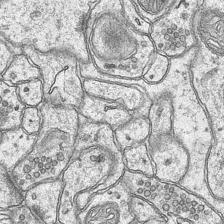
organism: Mouse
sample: CA1 Hippocampus